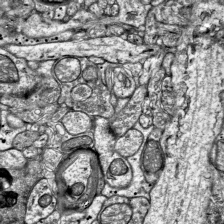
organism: Mouse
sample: Visual Cortex